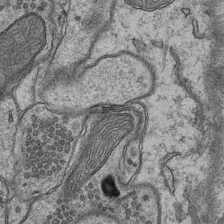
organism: Mouse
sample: CA1 Hippocampus